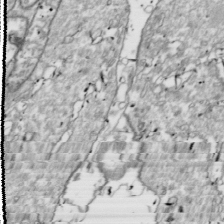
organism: Drosophila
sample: Cell division; meiosis; drosophila spermatocytes